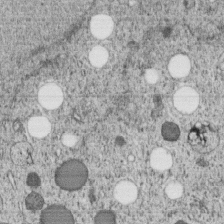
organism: C. elegans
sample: C. elegans embryo early stage